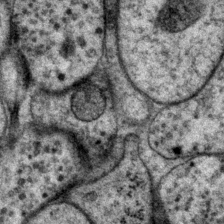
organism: P. pacificus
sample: Pharynx